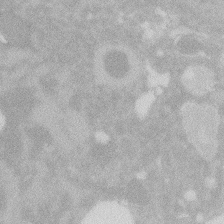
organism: Zebrafish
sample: Macrophage